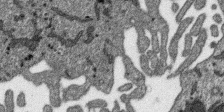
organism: Human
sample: Lung epithelial cells infected with SARS-CoV-2